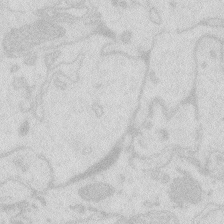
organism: Zebrafish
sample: Macrophage